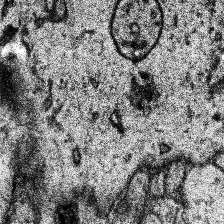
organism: Human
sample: Temporal Lobe